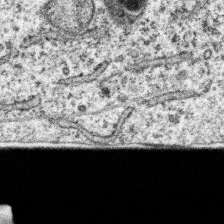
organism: Human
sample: HeLa cells